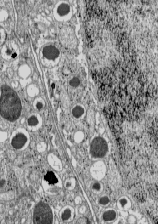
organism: C57BL Mouse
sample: Pancreatic islet